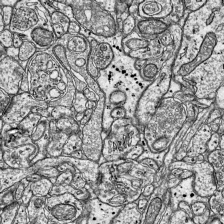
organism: Mouse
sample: Visual Cortex